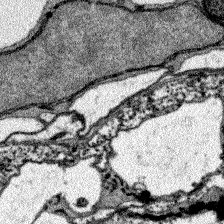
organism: Zebrafish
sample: Larval olfactory bulb